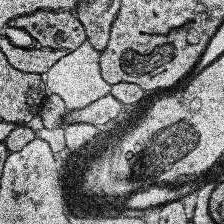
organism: Human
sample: Temporal Lobe